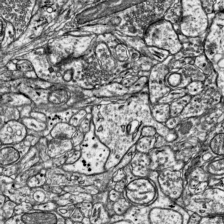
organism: Mouse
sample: Visual Cortex